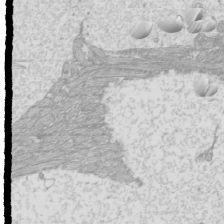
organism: Mouse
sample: Cilia; mouse epididymis